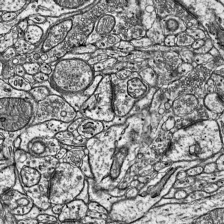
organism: Mouse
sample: Visual Cortex